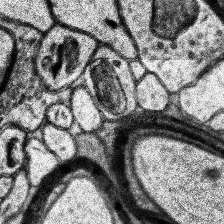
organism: Human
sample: Temporal Lobe